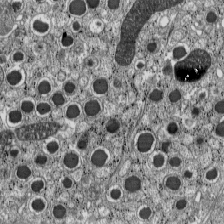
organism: C57BL Mouse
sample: Pancreatic islet